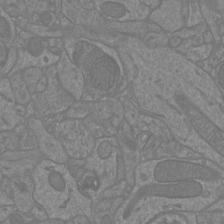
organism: Mouse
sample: Cortical neurons